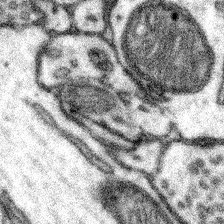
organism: Mouse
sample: Somatosensory cortex neuropil